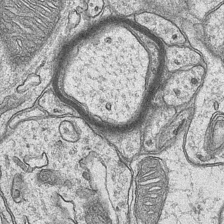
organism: Mouse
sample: CA1 Hippocampus